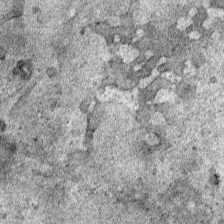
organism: Human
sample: Mitochondria in HCT116 cells